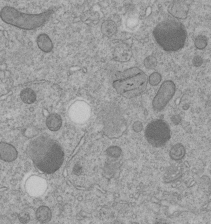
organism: C. elegans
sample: C. elegans embryo early stage